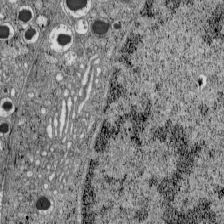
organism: C57BL Mouse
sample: Pancreatic islet